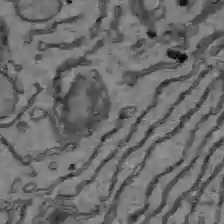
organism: C57BL Mouse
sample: Liver